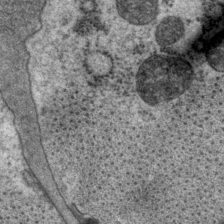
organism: P. pacificus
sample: Pharynx